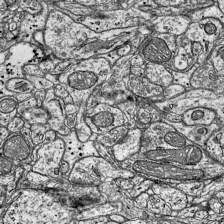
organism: Mouse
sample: Visual Cortex